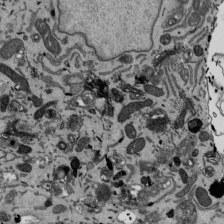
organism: Mouse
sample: ED-1 cell nuclei; centrioles